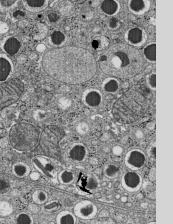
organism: C57BL Mouse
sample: Pancreatic islet